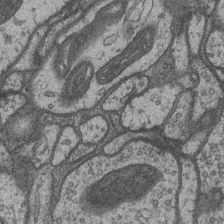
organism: Drosophila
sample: Optic medulla